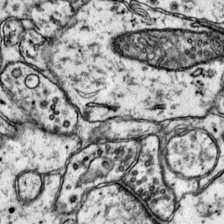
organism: Mouse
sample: Primary visual cortex